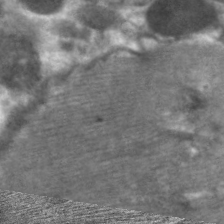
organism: C. elegans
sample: Pharynx